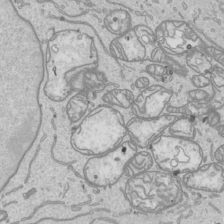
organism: Human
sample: Mitochondria in HCT116 cells